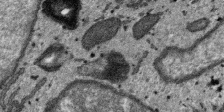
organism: Human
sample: Lung epithelial cells, uninfected (mock) control